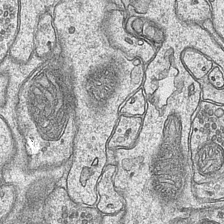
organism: Mouse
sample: CA1 Hippocampus